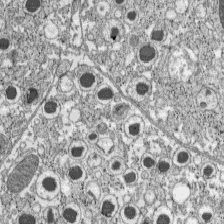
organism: C57BL Mouse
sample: Pancreatic islet